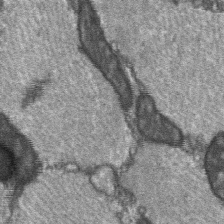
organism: C57BL Mouse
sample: Soleus